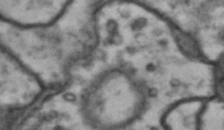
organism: Drosophila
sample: Brain